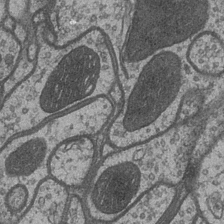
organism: Drosophila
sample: Optic medulla